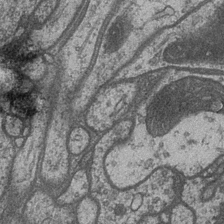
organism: Drosophila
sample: Optic medulla